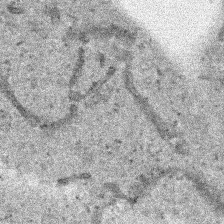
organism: Human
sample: Mitochondria in HCT116 cells